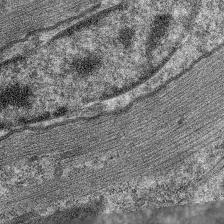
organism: C. elegans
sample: Pharynx